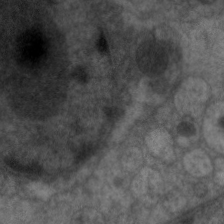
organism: C. elegans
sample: Pharynx